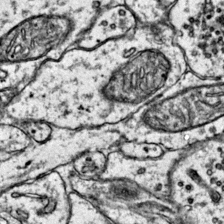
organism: Mouse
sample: Primary visual cortex